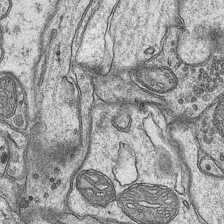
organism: Mouse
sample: CA1 Hippocampus